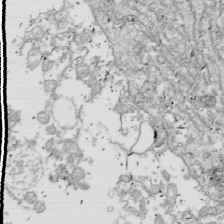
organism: Drosophila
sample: Cell division; meiosis; drosophila spermatocytes